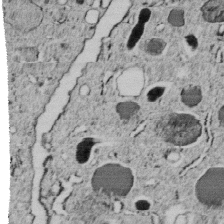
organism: C. elegans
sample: C. elegans embryo early stage